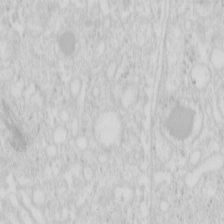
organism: Mouse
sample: Pancreas